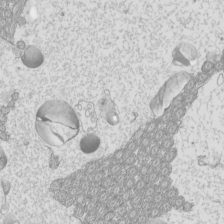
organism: Mouse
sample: Cilia; mouse epididymis